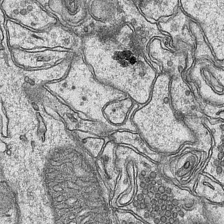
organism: Mouse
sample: CA1 Hippocampus